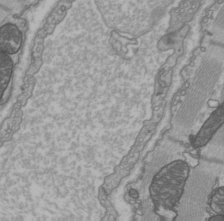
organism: C57BL Mouse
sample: Heart